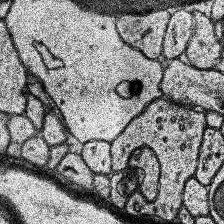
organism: Human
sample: Temporal Lobe